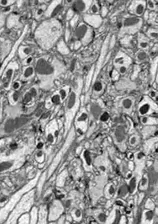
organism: Drosophila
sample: Optic lobe